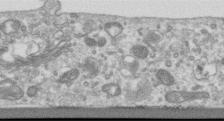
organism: Human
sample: Centriole in RPE cells